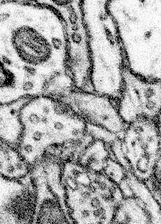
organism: Mouse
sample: Somatosensory cortex neuropil